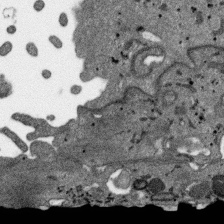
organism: Human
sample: Lung epithelial cells, uninfected (mock) control